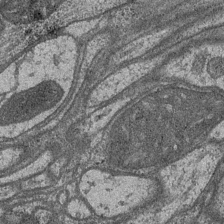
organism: Drosophila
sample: Optic medulla